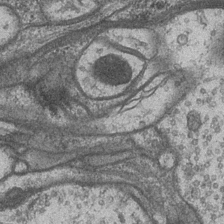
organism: Drosophila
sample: Optic medulla